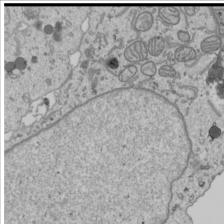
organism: Human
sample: Mitochondria in U2OS cells